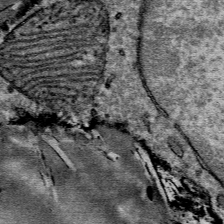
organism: Mouse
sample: Mouse Salivary gland